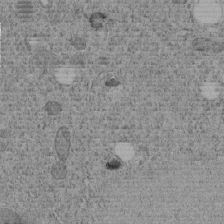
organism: C. elegans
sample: C. elegans embryo early stage